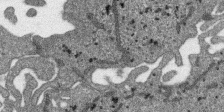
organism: Human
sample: Lung epithelial cells infected with SARS-CoV-2